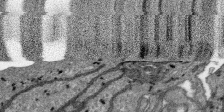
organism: Human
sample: Lung epithelial cells, uninfected (mock) control